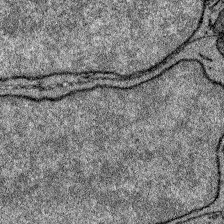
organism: Zebrafish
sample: Larval olfactory bulb